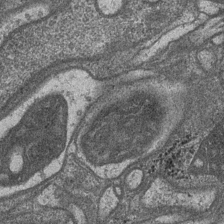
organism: Drosophila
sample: Optic medulla